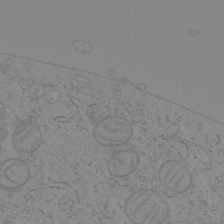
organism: Human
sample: HeLa cells